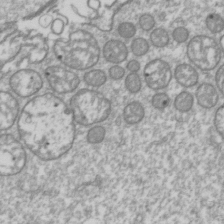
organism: Drosophila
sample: Cell division; meiosis; drosophila spermatocytes